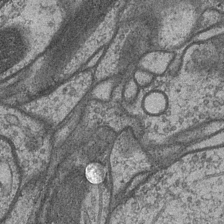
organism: Drosophila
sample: Optic medulla